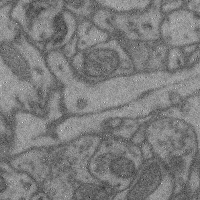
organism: Mouse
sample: Cerebral cortex